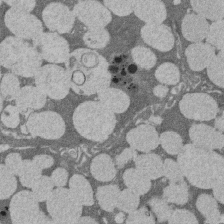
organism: Rat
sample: Salivary granule